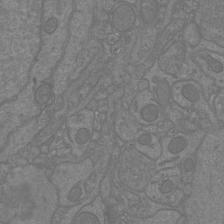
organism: Mouse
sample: Cortical neurons